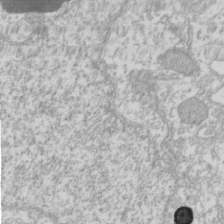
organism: Xenopus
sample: Cilia; centrioles in frog embryo cells